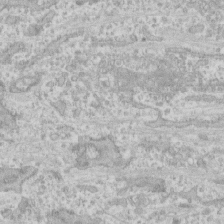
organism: Human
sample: CRL-1474